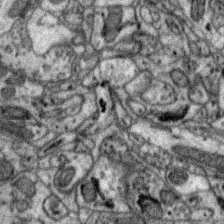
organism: Zebra finch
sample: Brain